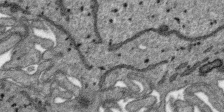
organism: Human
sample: Lung epithelial cells, uninfected (mock) control